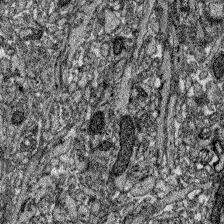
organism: Zebrafish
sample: Larval olfactory bulb